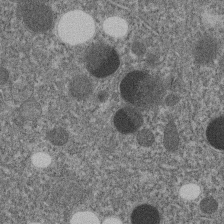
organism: C. elegans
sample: C. elegans embryo early stage